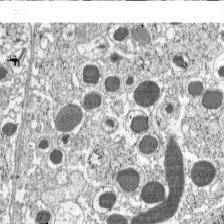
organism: C57BL Mouse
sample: Pancreatic islet